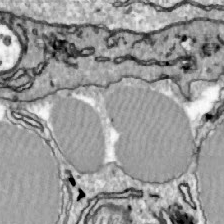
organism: Zebrafish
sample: Actinotrichia fibers